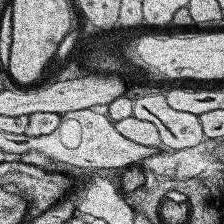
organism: Human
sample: Temporal Lobe